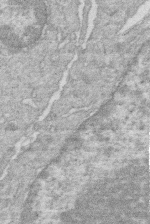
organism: Human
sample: Macrophage cells